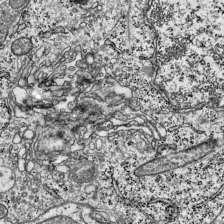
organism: Mouse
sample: Visual Cortex